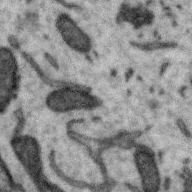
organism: Zebra finch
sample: Brain